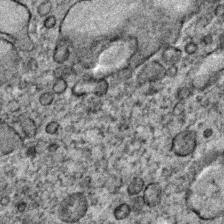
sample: Trachea